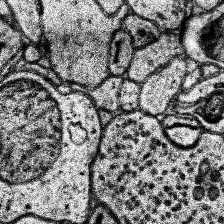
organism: Human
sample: Temporal Lobe